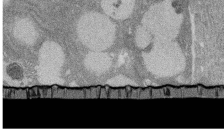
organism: Rat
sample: Salivary granule